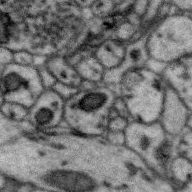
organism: Zebra finch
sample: Brain